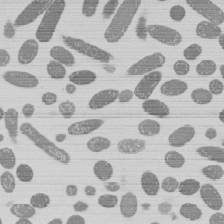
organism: E. coli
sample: Bacterial nucleoid